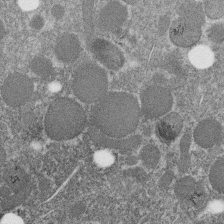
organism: C. elegans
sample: C. elegans embryo early stage